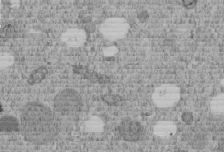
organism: C. elegans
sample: C. elegans embryo early stage